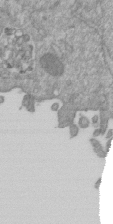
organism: Mouse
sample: ED-1 cell nuclei; centrioles